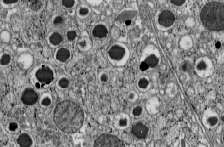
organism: C57BL Mouse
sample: Pancreatic islet